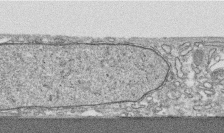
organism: Human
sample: CRL-1474